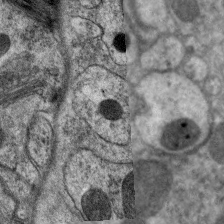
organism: C. elegans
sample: Pharynx